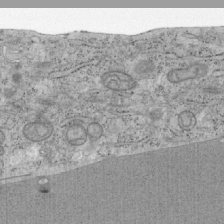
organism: Human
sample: HeLa cells